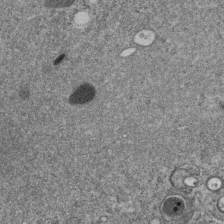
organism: C. elegans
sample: C. elegans embryo early stage